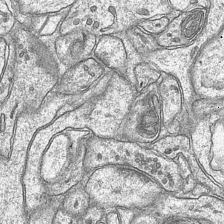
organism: Mouse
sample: CA1 Hippocampus